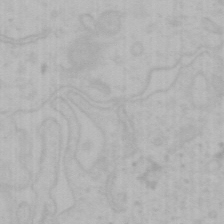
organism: Mouse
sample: Choroid plexus